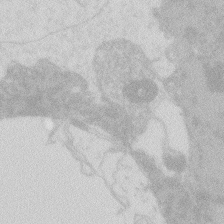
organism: Zebrafish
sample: Macrophage